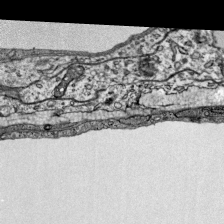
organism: Mouse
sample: Visual Cortex